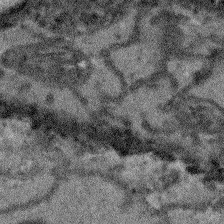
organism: Arabidopsis thaliana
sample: Root tip